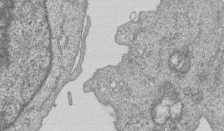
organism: Human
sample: MDA-MB-231 cells